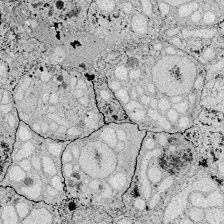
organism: Zebrafish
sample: Whole-Brain